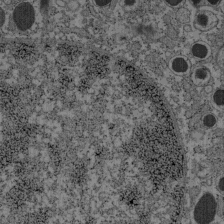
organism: C57BL Mouse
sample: Pancreatic islet